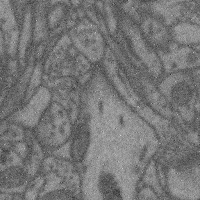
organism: Mouse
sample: Cerebral cortex